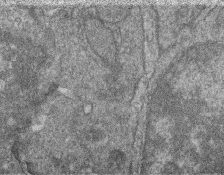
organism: Zebrafish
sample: Cilia; retinal pigment epithelium